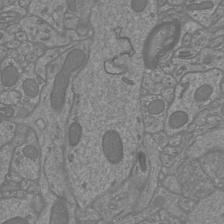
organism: Mouse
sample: Cortical neurons